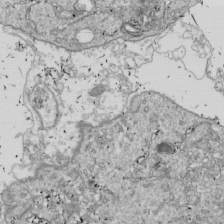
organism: Drosophila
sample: Cell division; meiosis; drosophila spermatocytes